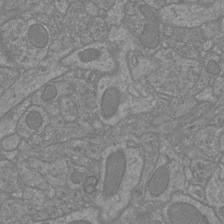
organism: Mouse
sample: Cortical neurons